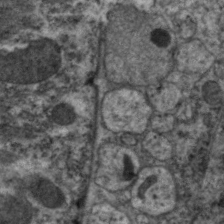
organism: C. elegans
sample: Pharynx